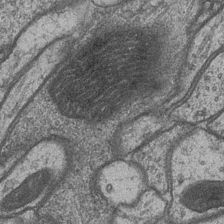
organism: Drosophila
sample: Optic medulla